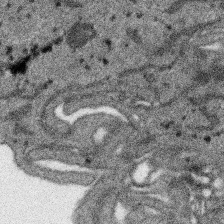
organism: Human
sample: Lung epithelial cells infected with SARS-CoV-2